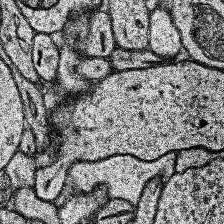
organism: Human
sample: Temporal Lobe